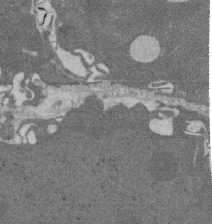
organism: Rat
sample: Salivary granule